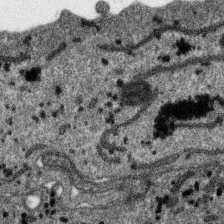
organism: Human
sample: Lung epithelial cells infected with SARS-CoV-2